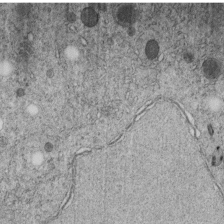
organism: C. elegans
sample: C. elegans embryo early stage